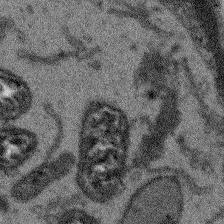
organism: Arabidopsis thaliana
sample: Root tip